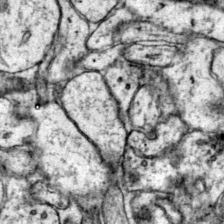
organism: Mouse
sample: Primary visual cortex